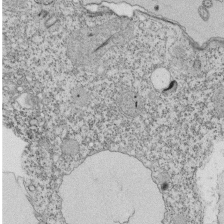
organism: Tetrahymena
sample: Cilia in tetrahymena